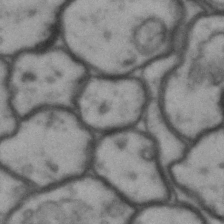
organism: Drosophila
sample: Brain